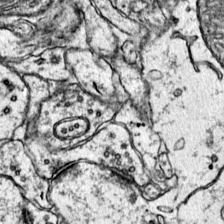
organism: Mouse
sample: Primary visual cortex